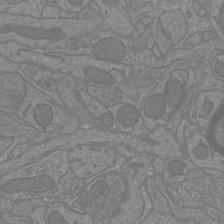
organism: Mouse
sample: Cortical neurons